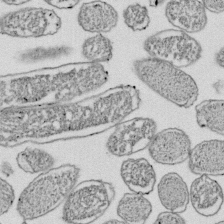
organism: E. coli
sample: Bacterial nucleoid